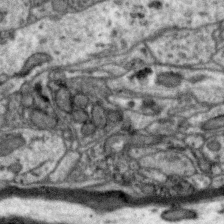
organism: Zebra finch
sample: Brain